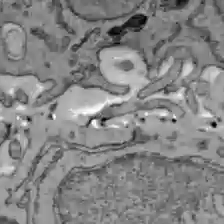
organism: C57BL Mouse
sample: Liver